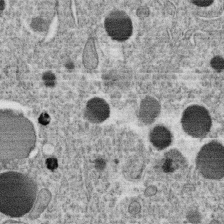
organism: C. elegans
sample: C. elegans oocyte; sperm cells